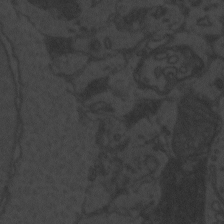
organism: Zebrafish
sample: Macrophage infected with Toxoplasma gondii